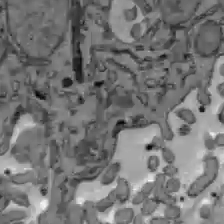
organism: C57BL Mouse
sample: Liver